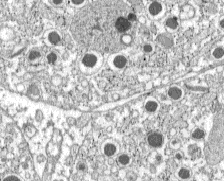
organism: C57BL Mouse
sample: Pancreatic islet